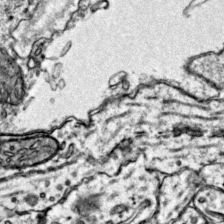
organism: Mouse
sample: Primary visual cortex